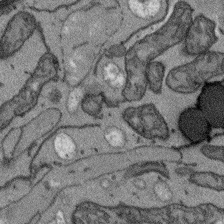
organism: Arabidopsis thaliana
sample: Root tip